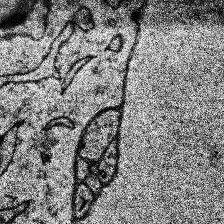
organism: Human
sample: Temporal Lobe